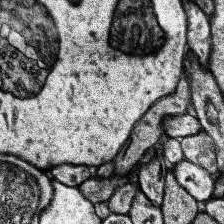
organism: Human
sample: Temporal Lobe